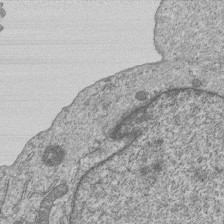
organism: Human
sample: MDA-MB-231 cells